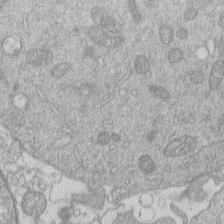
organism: Human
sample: Macrophage cells